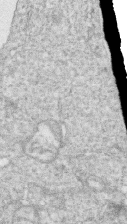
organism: Human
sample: HeLa cell HIV synapse